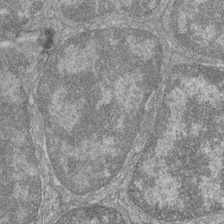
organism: Zebrafish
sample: Cilia; retinal pigment epithelium